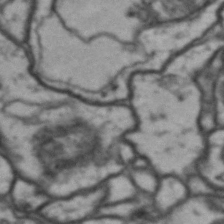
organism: Drosophila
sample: Brain